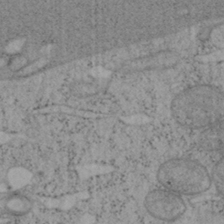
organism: Mouse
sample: OT-I killer T cells with ID8 ovarian cancer cells